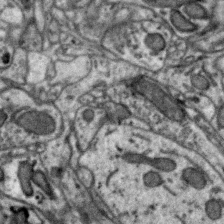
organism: Zebra finch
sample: Brain